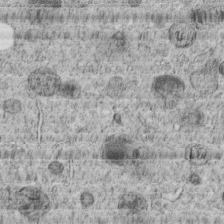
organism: C. elegans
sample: C. elegans embryo early stage